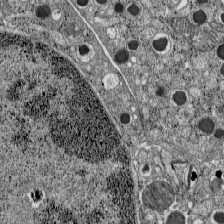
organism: C57BL Mouse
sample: Pancreatic islet